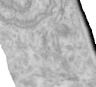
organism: Human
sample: Centriole in RPE cells